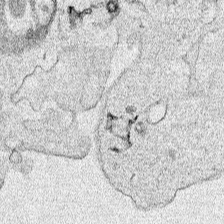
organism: Human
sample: Mitochondria in HCT116 cells